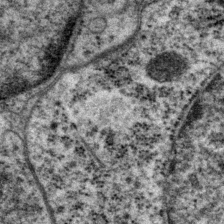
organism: P. pacificus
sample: Pharynx